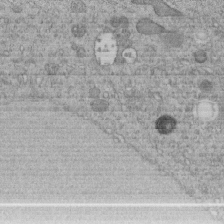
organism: C. elegans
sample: C. elegans embryo early stage